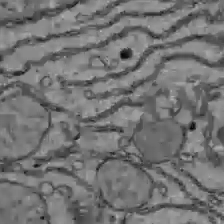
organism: C57BL Mouse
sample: Liver